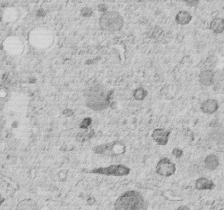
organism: C. elegans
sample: C. elegans embryo early stage